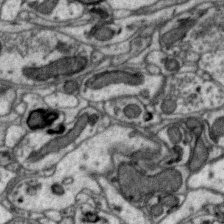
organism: Zebra finch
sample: Brain